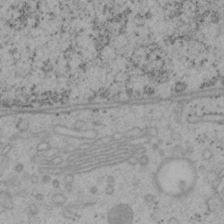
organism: Human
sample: HeLa cells